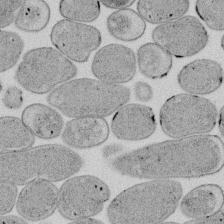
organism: E. coli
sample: Bacterial nucleoid